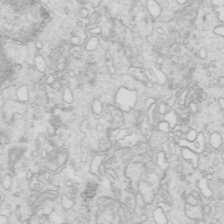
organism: Mouse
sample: Multiciliated cells